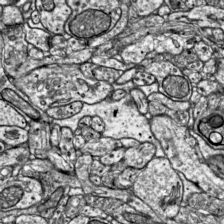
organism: Mouse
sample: Visual Cortex